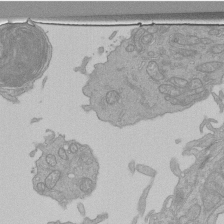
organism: Human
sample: Retinal organoid Rod and Cone cells